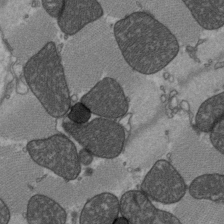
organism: C57BL Mouse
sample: Heart